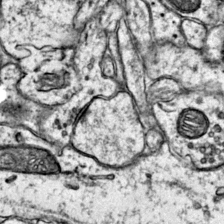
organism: Mouse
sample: Primary visual cortex